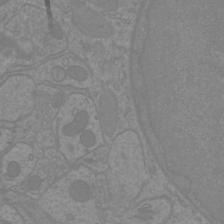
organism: Mouse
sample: Cortical neurons